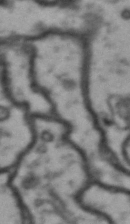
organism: Drosophila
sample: Brain